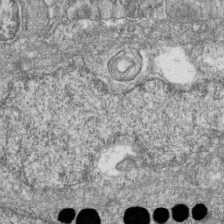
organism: Zebrafish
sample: Cilia; retinal pigment epithelium